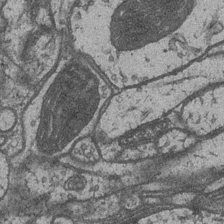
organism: Drosophila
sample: Optic medulla